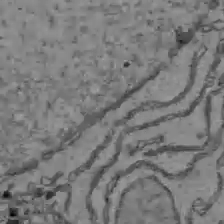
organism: C57BL Mouse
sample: Liver